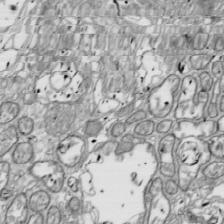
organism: Drosophila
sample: Cell division; meiosis; drosophila spermatocytes